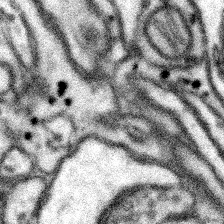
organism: Mouse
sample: Somatosensory cortex neuropil